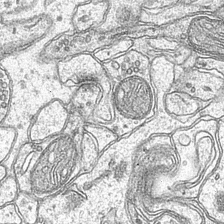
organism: Mouse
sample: CA1 Hippocampus